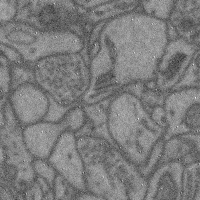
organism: Mouse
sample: Cerebral cortex